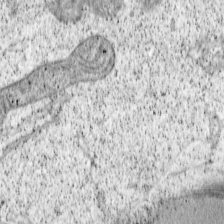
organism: African green monkey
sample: COS-7 cells